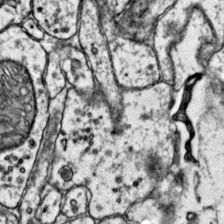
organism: Mouse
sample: Primary visual cortex